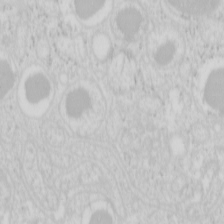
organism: Mouse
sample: Pancreas